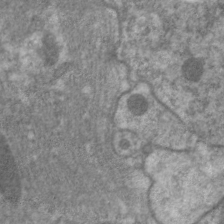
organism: C. elegans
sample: Pharynx